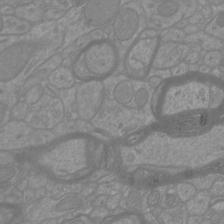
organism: Mouse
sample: Cortical neurons